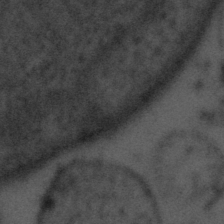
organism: Tuwongella immobilis